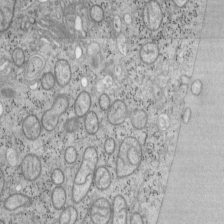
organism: Mouse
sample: OT-I killer T cells with ID8 ovarian cancer cells